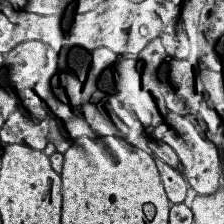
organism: Human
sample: Temporal Lobe